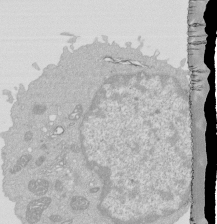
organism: Mouse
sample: Activated Pmel transgenic CD8+ T Cells